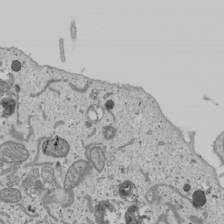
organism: Human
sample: Mitochondria in U2OS cells